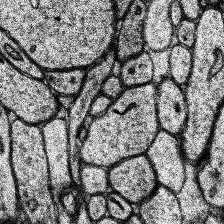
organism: Human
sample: Temporal Lobe